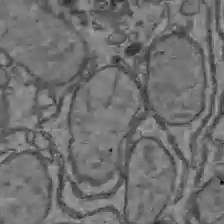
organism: C57BL Mouse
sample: Liver